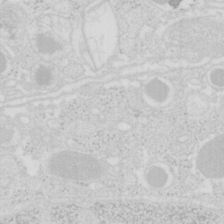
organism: Mouse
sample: Pancreas